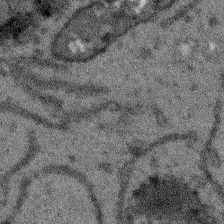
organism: Arabidopsis thaliana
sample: Root tip